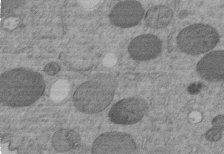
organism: C. elegans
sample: C. elegans embryo early stage